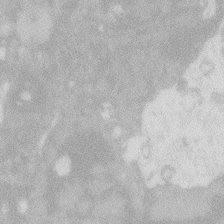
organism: Zebrafish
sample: Macrophage